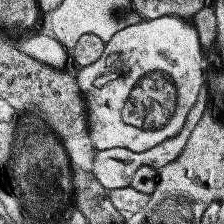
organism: Human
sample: Temporal Lobe